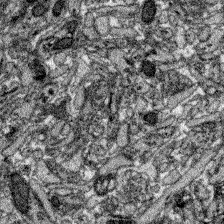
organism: Zebrafish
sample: Larval olfactory bulb